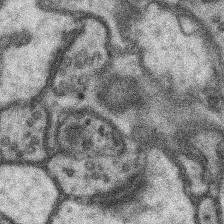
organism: Mouse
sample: Somatosensory cortex neuropil